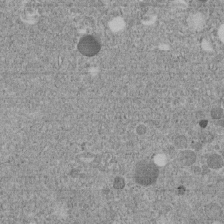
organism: C. elegans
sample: C. elegans embryo early stage